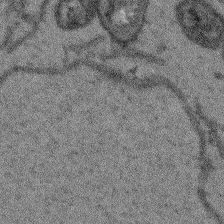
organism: Arabidopsis thaliana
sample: Root tip